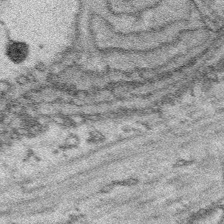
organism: Platynereis dumerilii